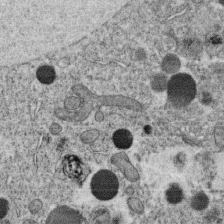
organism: C. elegans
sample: C. elegans oocyte; sperm cells